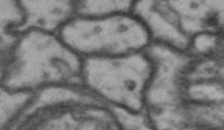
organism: Drosophila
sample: Brain